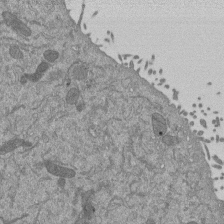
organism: Mouse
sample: ED-1 cell nuclei; centrioles